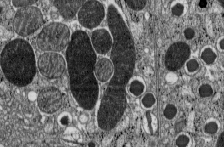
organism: C57BL Mouse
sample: Pancreatic islet